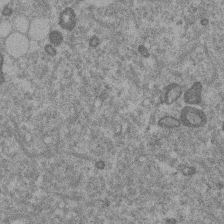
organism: Mouse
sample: Dividing mouse embryo 1 cell stage